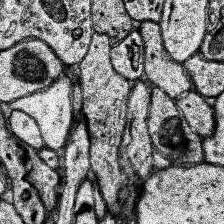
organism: Human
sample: Temporal Lobe